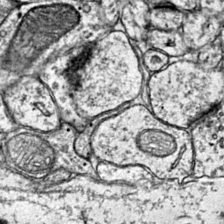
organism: Mouse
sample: Primary visual cortex